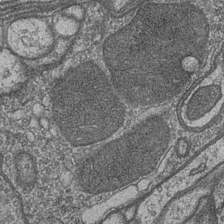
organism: Drosophila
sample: Optic medulla